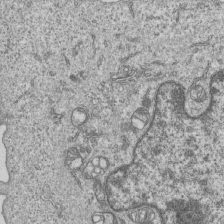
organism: Human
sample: MDA-MB-231 cells